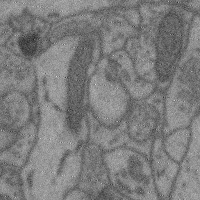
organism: Mouse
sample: Cerebral cortex